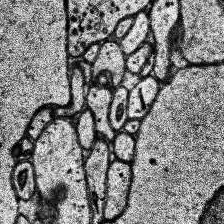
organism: Human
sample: Temporal Lobe